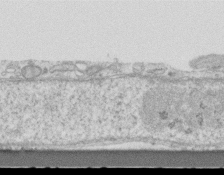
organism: Mouse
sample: Centriole in ependymal cells